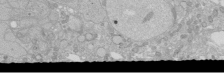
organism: Human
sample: Caco-2 cells